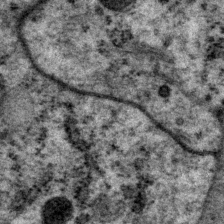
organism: P. pacificus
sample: Pharynx